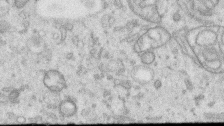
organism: Human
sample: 1205lu cells